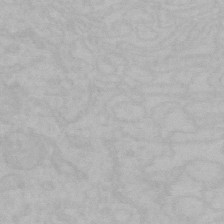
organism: Mouse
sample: Choroid plexus